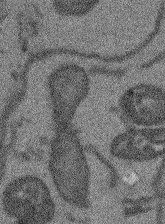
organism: Arabidopsis thaliana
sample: Root tip